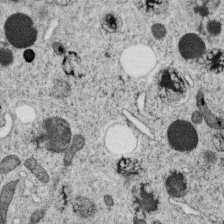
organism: C. elegans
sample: C. elegans oocyte; sperm cells